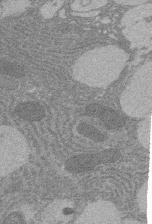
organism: Rat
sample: Salivary granule